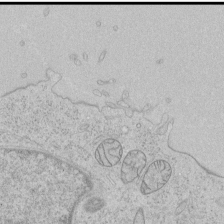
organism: Human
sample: Mitochondria in HCT116 cells